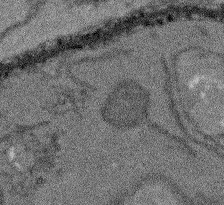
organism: Arabidopsis thaliana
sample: Root tip